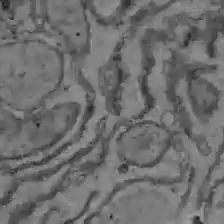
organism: C57BL Mouse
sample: Liver